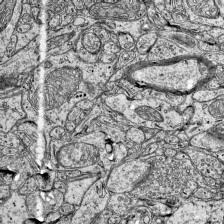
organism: Mouse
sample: Visual Cortex